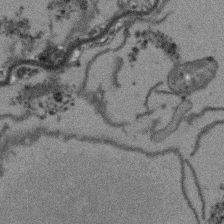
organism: Arabidopsis thaliana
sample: Root tip